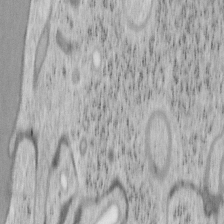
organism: Human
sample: HeLa cells